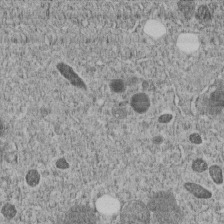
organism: C. elegans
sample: C. elegans embryo early stage